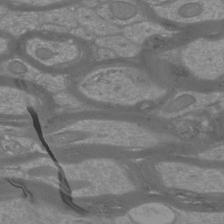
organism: Mouse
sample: Cortical neurons